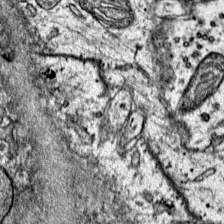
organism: Mouse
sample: Primary visual cortex